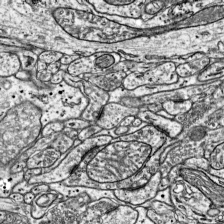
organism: Mouse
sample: Visual Cortex